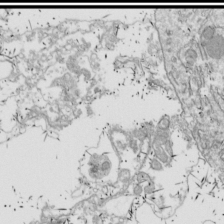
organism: Drosophila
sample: Cell division; meiosis; drosophila spermatocytes